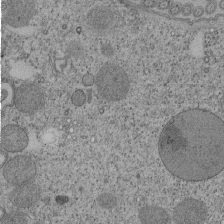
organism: Tetrahymena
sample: Cilia in tetrahymena